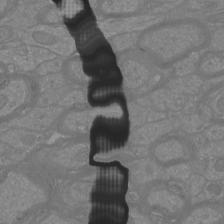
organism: Mouse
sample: Cortical neurons